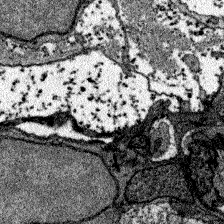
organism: Zebrafish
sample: Larval olfactory bulb